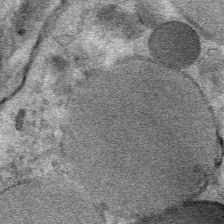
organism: Mouse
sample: Mouse Salivary gland